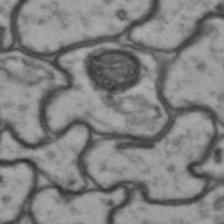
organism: Drosophila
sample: Brain